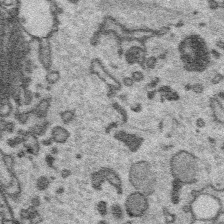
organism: Platynereis dumerilii